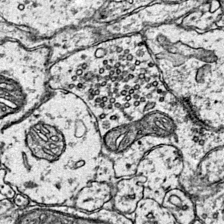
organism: Mouse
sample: Primary visual cortex